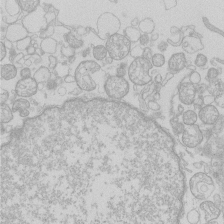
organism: Human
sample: Macrophage cells